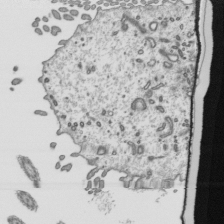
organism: Mouse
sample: Mouse epididymis efferent ductule cilia